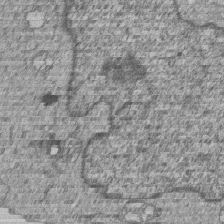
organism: Human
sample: MDA-MB-231 cells